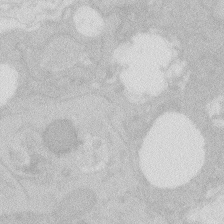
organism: Zebrafish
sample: Macrophage